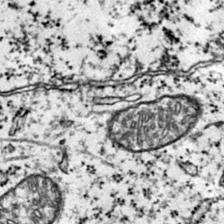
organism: Mouse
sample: Primary visual cortex